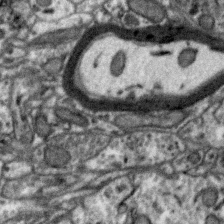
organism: Zebra finch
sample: Brain